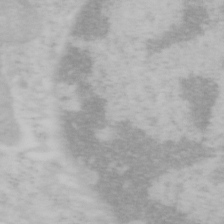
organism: Mouse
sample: OT-I killer T cells with ID8 ovarian cancer cells